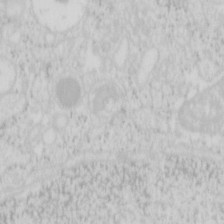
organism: Mouse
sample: Pancreas